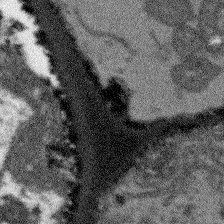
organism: Arabidopsis thaliana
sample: Root tip